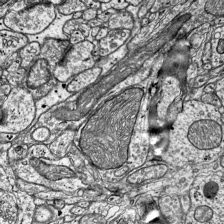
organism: Mouse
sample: Visual Cortex